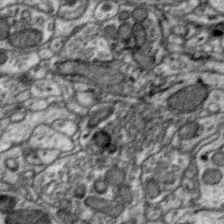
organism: Zebra finch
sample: Brain